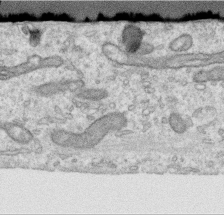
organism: Human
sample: Centriole in RPE cells